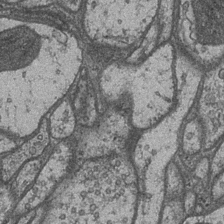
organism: Drosophila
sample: Optic medulla